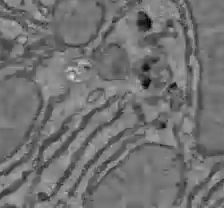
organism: C57BL Mouse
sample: Liver